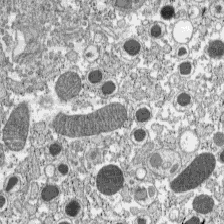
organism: C57BL Mouse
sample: Pancreatic islet